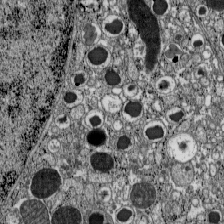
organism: C57BL Mouse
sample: Pancreatic islet